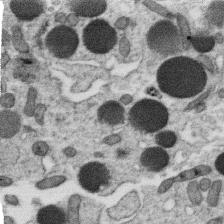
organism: C. elegans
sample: C. elegans oocyte; sperm cells